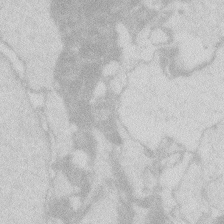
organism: Zebrafish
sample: Macrophage